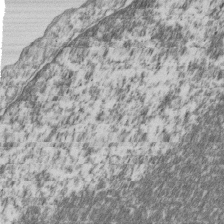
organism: Human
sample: MDA-MB-231 cells